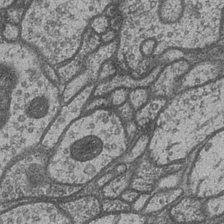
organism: Drosophila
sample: Optic medulla